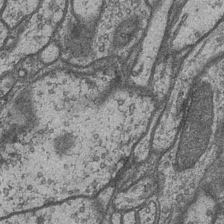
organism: Drosophila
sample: Optic medulla